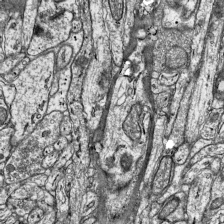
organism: Mouse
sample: Visual Cortex